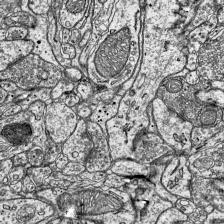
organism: Mouse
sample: Visual Cortex